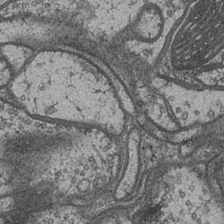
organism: Drosophila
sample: Optic medulla